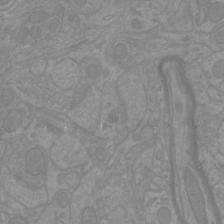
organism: Mouse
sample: Cortical neurons